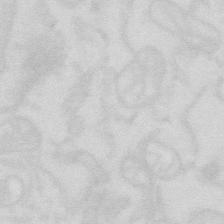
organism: Human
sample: HeLa cells